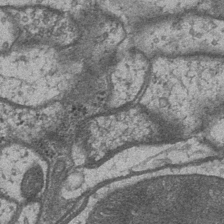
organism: Drosophila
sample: Optic medulla